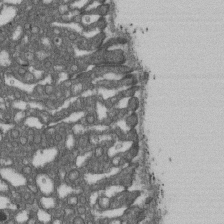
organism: Drosophila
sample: Nephrocyte